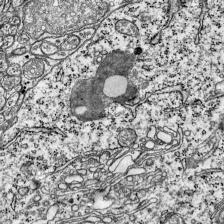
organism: Mouse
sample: Visual Cortex